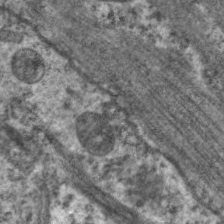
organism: C. elegans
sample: Pharynx